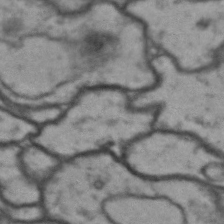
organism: Drosophila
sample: Brain